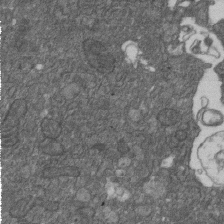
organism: Drosophila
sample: Nephrocyte